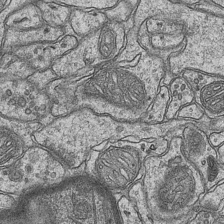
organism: Mouse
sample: CA1 Hippocampus